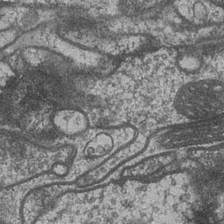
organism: Drosophila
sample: Optic medulla